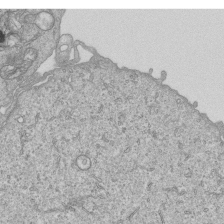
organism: Human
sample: MDA-MB-231 cells